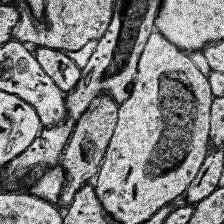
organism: Human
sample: Temporal Lobe